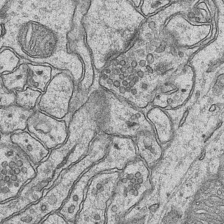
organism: Mouse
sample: CA1 Hippocampus